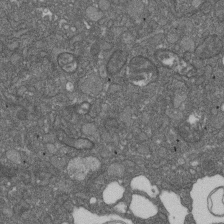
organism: Drosophila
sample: Nephrocyte